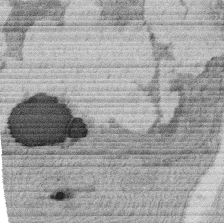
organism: Rat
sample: Salivary granule